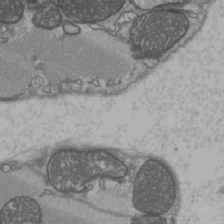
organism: C57BL Mouse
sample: Heart